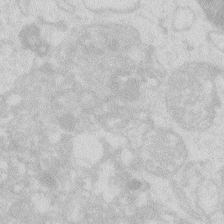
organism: Zebrafish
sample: Macrophage